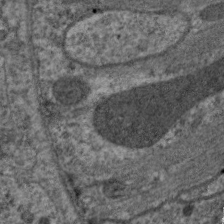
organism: C. elegans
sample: Pharynx